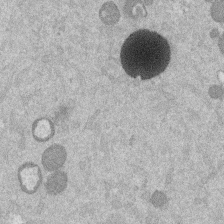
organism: Mouse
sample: Dividing mouse embryo 1 cell stage